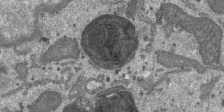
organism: Human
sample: Lung epithelial cells infected with SARS-CoV-2